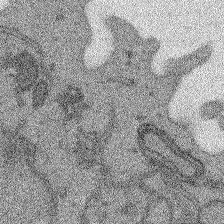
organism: Human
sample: HeLa cells